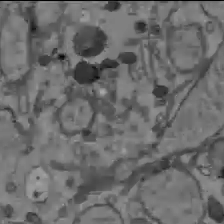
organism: C57BL Mouse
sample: Liver